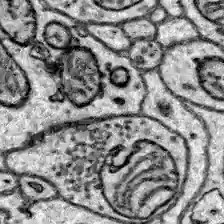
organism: Zebrafish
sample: Brain